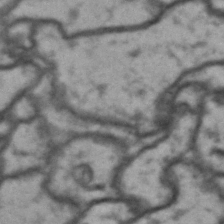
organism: Drosophila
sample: Brain